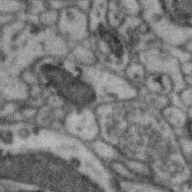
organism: Zebra finch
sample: Brain